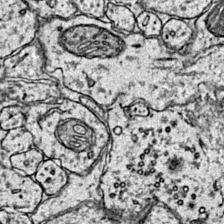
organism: Mouse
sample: Primary visual cortex